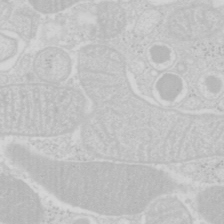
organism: Mouse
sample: Pancreas